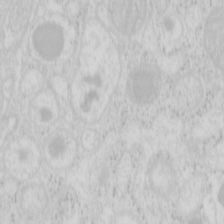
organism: Mouse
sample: Pancreas